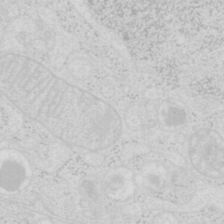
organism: Mouse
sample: Pancreas